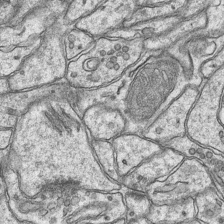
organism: Mouse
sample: CA1 Hippocampus